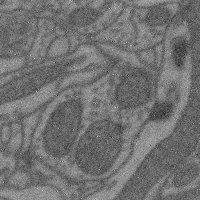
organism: Mouse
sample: Cerebral cortex